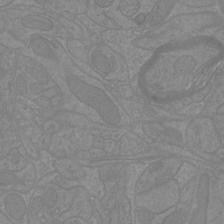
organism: Mouse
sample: Cortical neurons